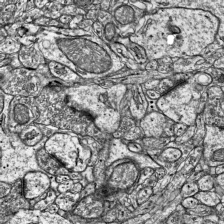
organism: Mouse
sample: Visual Cortex